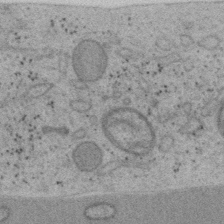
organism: Human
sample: HeLa cells